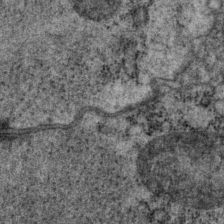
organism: P. pacificus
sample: Pharynx